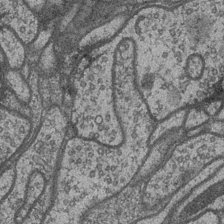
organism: Drosophila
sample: Optic medulla